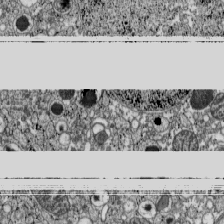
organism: C57BL Mouse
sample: Pancreatic islet